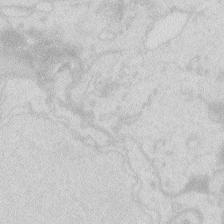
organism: Zebrafish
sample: Macrophage